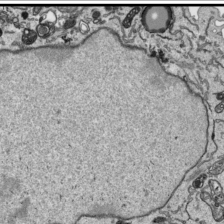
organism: Human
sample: Mitochondria in HCT116 cells